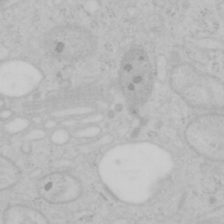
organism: Mouse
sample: OT-I killer T cells with ID8 ovarian cancer cells